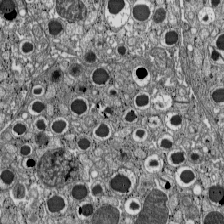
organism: C57BL Mouse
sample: Pancreatic islet